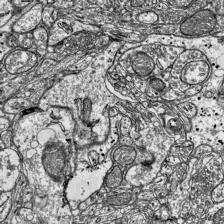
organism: Mouse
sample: Visual Cortex